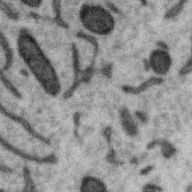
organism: Zebra finch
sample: Brain